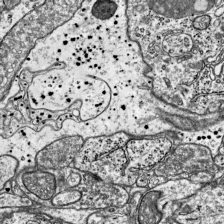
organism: Mouse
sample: Visual Cortex